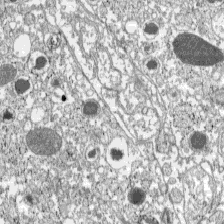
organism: C57BL Mouse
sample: Pancreatic islet